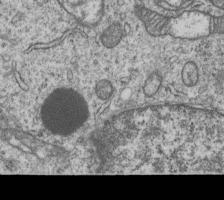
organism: Human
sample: MDA-MB-231 cells